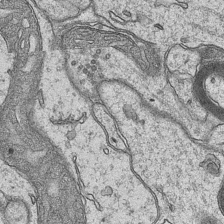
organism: Mouse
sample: CA1 Hippocampus